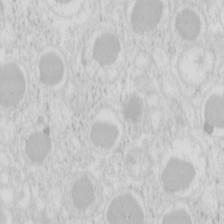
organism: Mouse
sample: Pancreas